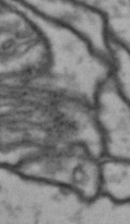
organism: Drosophila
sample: Brain